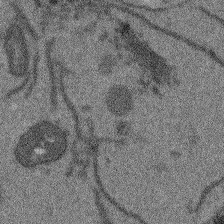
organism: Arabidopsis thaliana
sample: Root tip